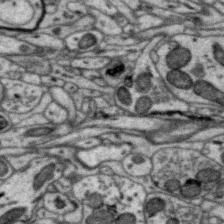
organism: Zebra finch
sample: Brain